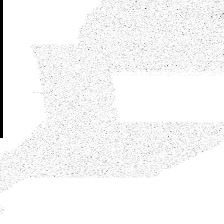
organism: Spongilla lacustris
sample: Neuroid cell